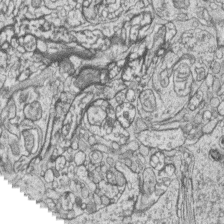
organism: Zebrafish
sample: synaptic ribbons in rod cells and cone cells